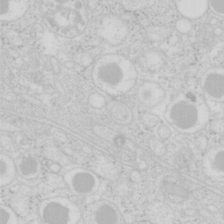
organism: Mouse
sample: Pancreas